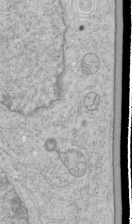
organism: Human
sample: Mitochondria in HCT116 cells